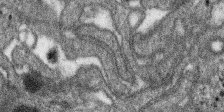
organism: Human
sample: Lung epithelial cells infected with SARS-CoV-2